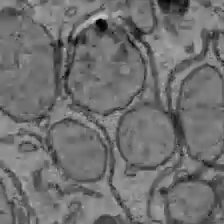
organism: C57BL Mouse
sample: Liver